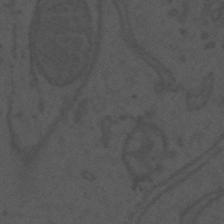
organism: Mouse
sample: Suprachiasmatic nucleus